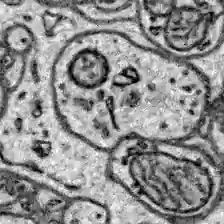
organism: Zebrafish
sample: Brain